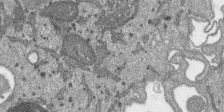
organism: Human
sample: Lung epithelial cells infected with SARS-CoV-2